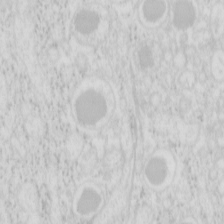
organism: Mouse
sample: Pancreas